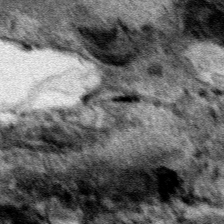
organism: Human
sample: Mitochondria in HCT116 cells